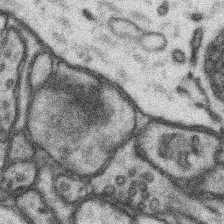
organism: Mouse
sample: Somatosensory cortex neuropil